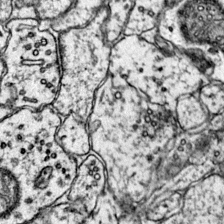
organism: Mouse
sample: Primary visual cortex